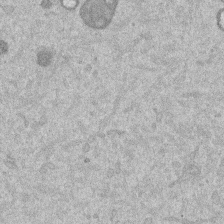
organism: Mouse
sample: Dividing mouse embryo 1 cell stage